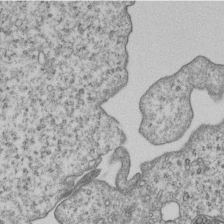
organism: Human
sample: MDA-MB-231 cells